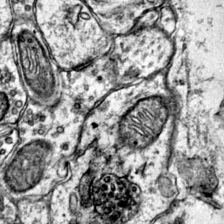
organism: Mouse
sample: Primary visual cortex